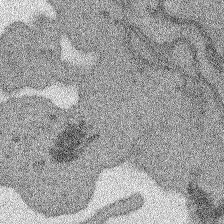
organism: Human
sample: HeLa cells